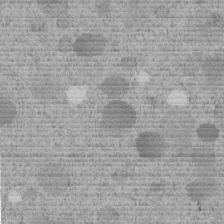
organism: C. elegans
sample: C. elegans embryo early stage